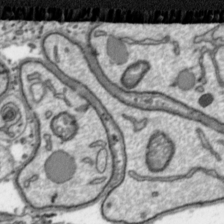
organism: Toxoplasma gondii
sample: Parasites in a vacuole inside a host cell